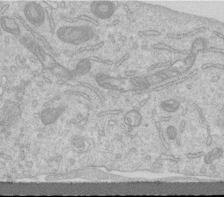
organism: Human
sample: Centriole in RPE cells